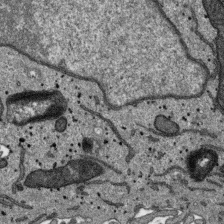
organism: Human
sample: Lung epithelial cells, uninfected (mock) control